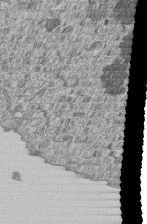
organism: Human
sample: MDA-MB-231 cells